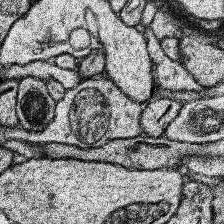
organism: Human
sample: Temporal Lobe